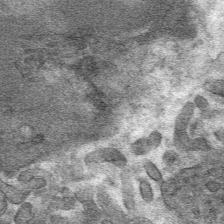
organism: Mouse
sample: Mouse hepatocytes